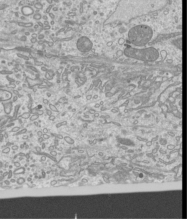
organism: Mouse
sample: Cilia; mouse epididymis